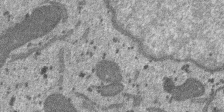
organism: Human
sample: Lung epithelial cells infected with SARS-CoV-2